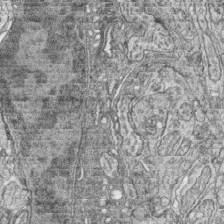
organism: Zebrafish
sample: synaptic ribbons in rod cells and cone cells